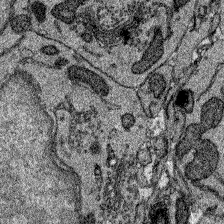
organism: Zebrafish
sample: Larval olfactory bulb